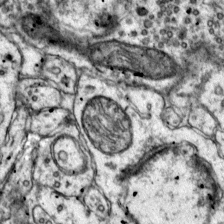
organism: Mouse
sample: Primary visual cortex